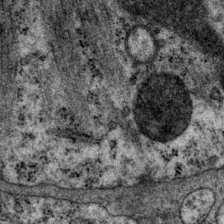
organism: P. pacificus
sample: Pharynx